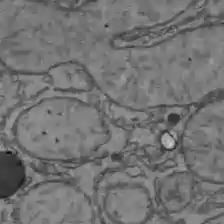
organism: C57BL Mouse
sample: Liver